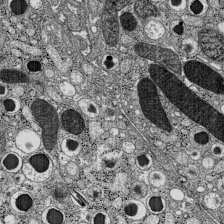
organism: C57BL Mouse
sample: Pancreatic islet